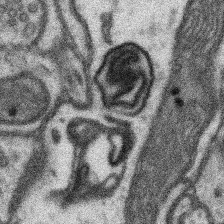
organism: Mouse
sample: Somatosensory cortex neuropil